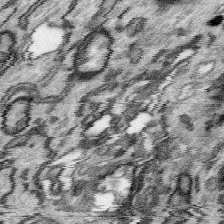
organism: Human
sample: HeLa cells